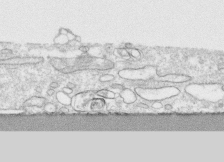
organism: Human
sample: CRL-1474